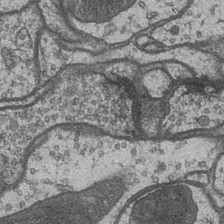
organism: Drosophila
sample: Optic medulla